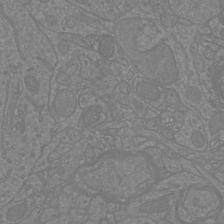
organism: Mouse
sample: Cortical neurons